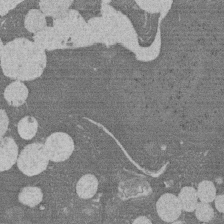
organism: Rat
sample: Salivary granule